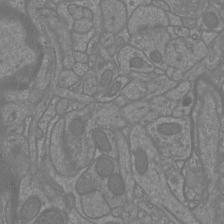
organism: Mouse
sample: Cortical neurons